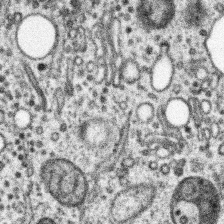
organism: Human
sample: HeLa cells